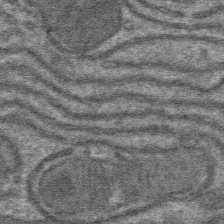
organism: Mouse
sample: Mouse hepatocytes